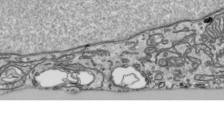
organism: Human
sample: Mitochondria in HCT116 cells